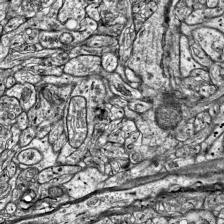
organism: Mouse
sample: Visual Cortex